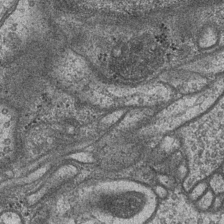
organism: Drosophila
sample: Optic medulla